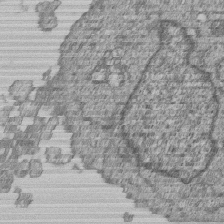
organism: Human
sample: MDA-MB-231 cells